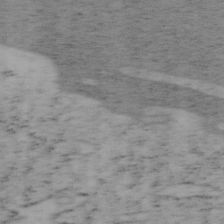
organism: Mouse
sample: OT-I killer T cells with ID8 ovarian cancer cells